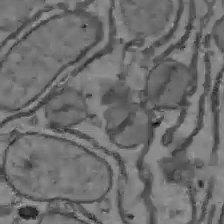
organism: C57BL Mouse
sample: Liver